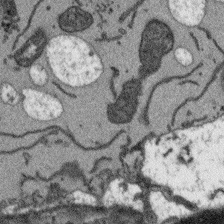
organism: Arabidopsis thaliana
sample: Root tip